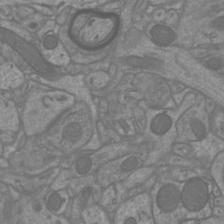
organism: Mouse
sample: Cortical neurons